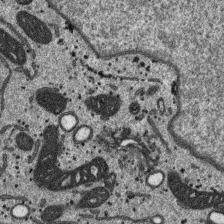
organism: Human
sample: Lung epithelial cells infected with SARS-CoV-2